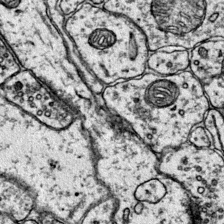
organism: Mouse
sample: Primary visual cortex